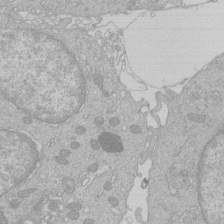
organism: Human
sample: Macrophage cells